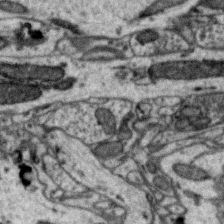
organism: Zebra finch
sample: Brain